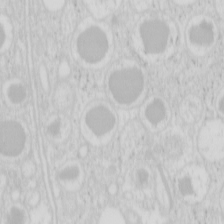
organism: Mouse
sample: Pancreas